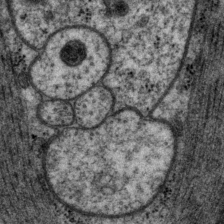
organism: P. pacificus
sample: Pharynx